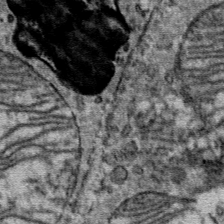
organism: Mouse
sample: Mouse Salivary gland